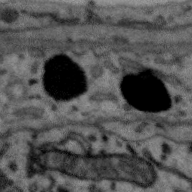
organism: Zebra finch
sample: Brain